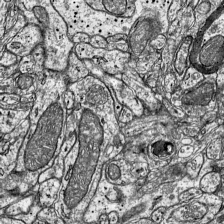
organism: Mouse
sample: Visual Cortex